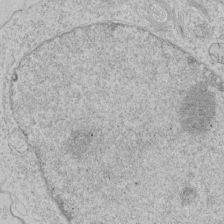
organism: Human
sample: Mitochondria in HCT116 cells